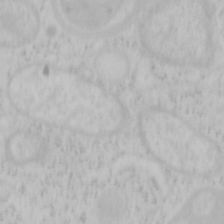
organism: Mouse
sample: OT-I killer T cells with ID8 ovarian cancer cells